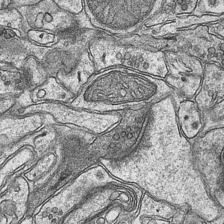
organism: Mouse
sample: CA1 Hippocampus